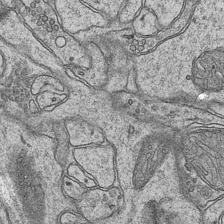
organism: Mouse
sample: CA1 Hippocampus